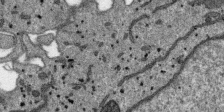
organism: Human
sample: Lung epithelial cells, uninfected (mock) control